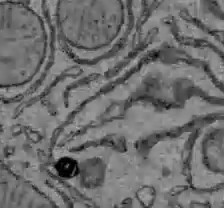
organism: C57BL Mouse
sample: Liver